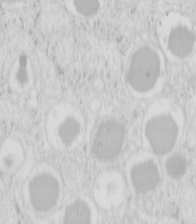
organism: Mouse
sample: Pancreas